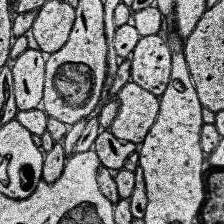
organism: Human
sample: Temporal Lobe